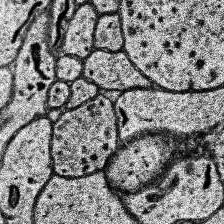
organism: Human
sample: Temporal Lobe